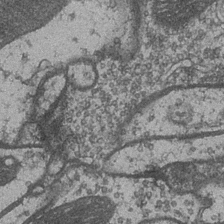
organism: Drosophila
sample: Optic medulla